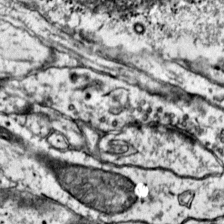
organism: Mouse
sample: Primary visual cortex